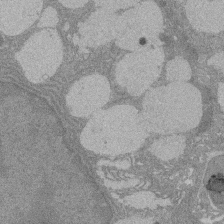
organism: Rat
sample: Salivary granule